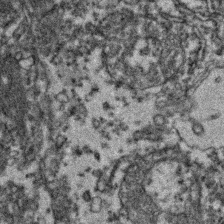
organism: Zebrafish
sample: Zebrafish embryo